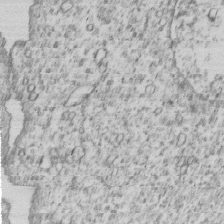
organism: Human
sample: MDA-MB-231 cells